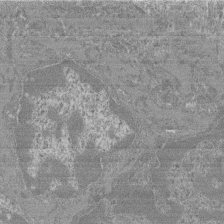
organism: Mouse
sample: Glomerulus